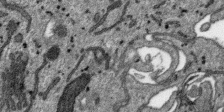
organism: Human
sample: Lung epithelial cells, uninfected (mock) control